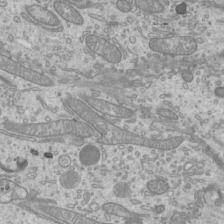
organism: Mouse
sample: Cilia; mouse epididymis